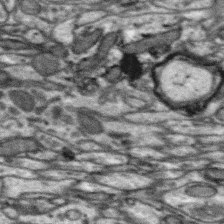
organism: Zebra finch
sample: Brain